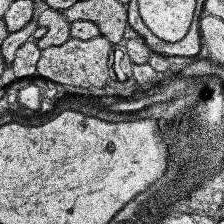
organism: Human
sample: Temporal Lobe